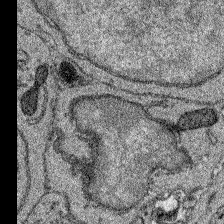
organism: Zebrafish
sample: Larval olfactory bulb